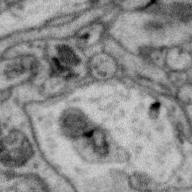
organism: Zebra finch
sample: Brain